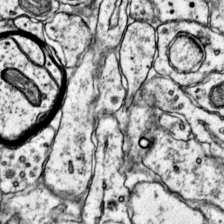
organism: Mouse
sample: Primary visual cortex